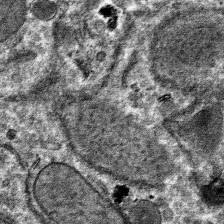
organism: Mouse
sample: Mouse hepatocytes